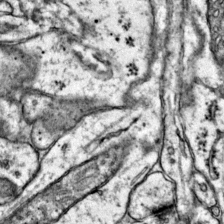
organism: Mouse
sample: Primary visual cortex